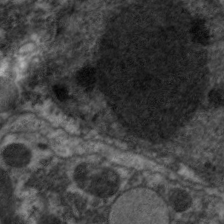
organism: C. elegans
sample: Pharynx